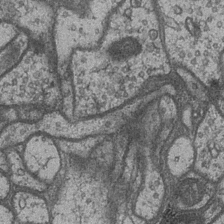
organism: Drosophila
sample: Optic medulla